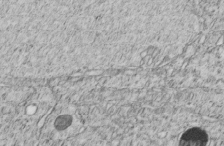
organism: C. elegans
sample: C. elegans embryo early stage